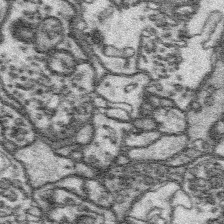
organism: Platynereis dumerilii